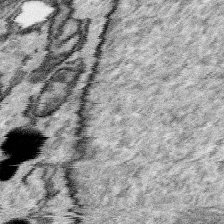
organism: Human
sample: HeLa cells